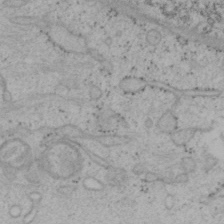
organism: Human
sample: HeLa cells